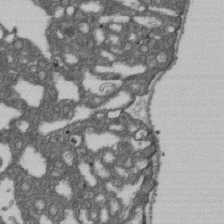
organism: Drosophila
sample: Nephrocyte